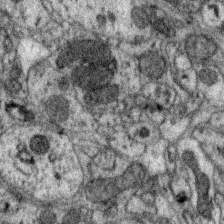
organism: Zebra finch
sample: Brain